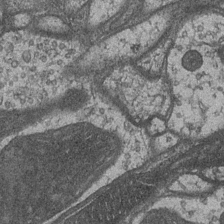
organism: Drosophila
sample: Optic medulla